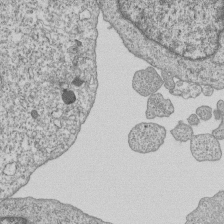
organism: Human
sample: MDA-MB-231 cells